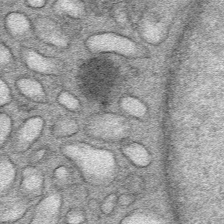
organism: Mouse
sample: Mouse Salivary gland